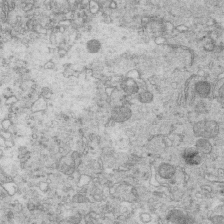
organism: Mouse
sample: Multiciliated cells